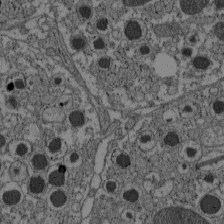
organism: C57BL Mouse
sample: Pancreatic islet